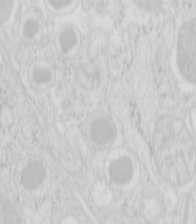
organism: Mouse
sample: Pancreas